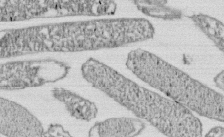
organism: E. coli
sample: Bacterial nucleoid